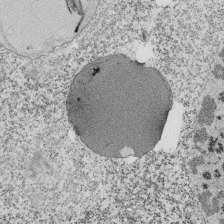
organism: Tetrahymena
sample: Cilia in tetrahymena